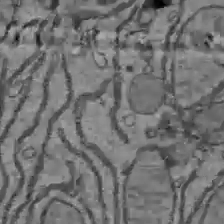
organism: C57BL Mouse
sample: Liver